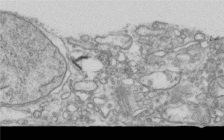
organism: Human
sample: Centriole in RPE cells